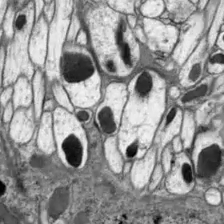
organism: Drosophila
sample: Optic lobe